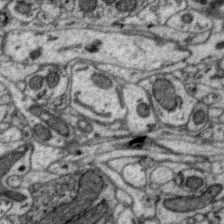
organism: Zebra finch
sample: Brain